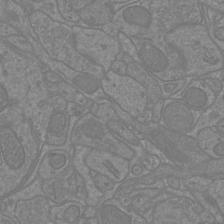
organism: Mouse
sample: Cortical neurons